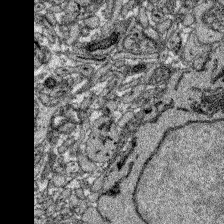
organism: Zebrafish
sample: Larval olfactory bulb